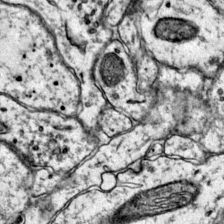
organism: Mouse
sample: Primary visual cortex